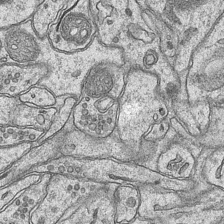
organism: Mouse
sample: CA1 Hippocampus